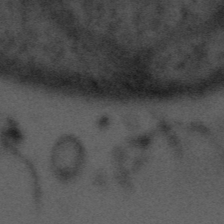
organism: Tuwongella immobilis